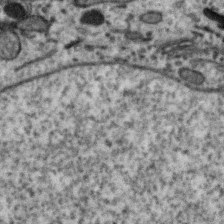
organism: Zebra finch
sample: Brain